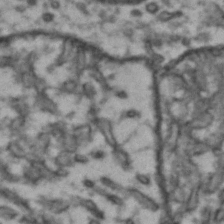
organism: Drosophila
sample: Brain